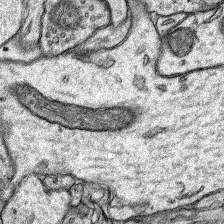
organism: Rat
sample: Hippocampus